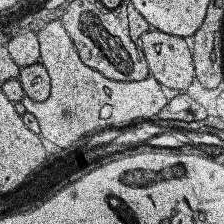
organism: Human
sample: Temporal Lobe